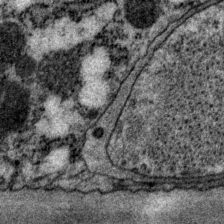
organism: P. pacificus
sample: Pharynx